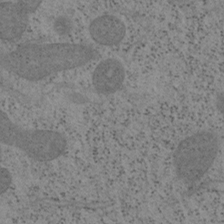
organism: Mouse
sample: OT-I killer T cells with ID8 ovarian cancer cells